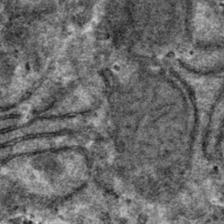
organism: Mouse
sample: Mouse hepatocytes